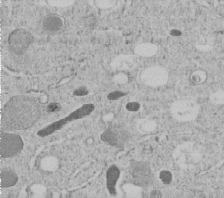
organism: C. elegans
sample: C. elegans embryo early stage